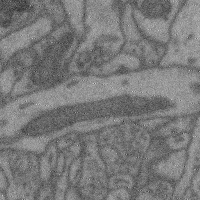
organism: Mouse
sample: Cerebral cortex